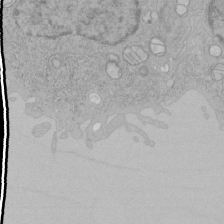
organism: Human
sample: Mitochondria in HCT116 cells